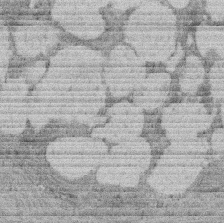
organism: Rat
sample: Salivary granule